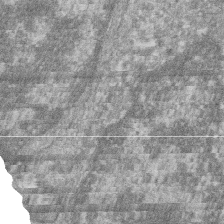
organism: Zebrafish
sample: Cilia; retinal pigment epithelium